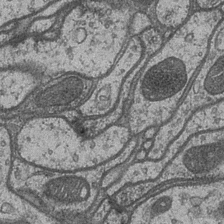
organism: Drosophila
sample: Optic medulla